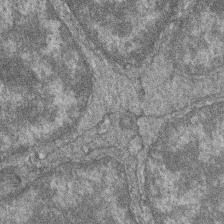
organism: Zebrafish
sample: Cilia; retinal pigment epithelium